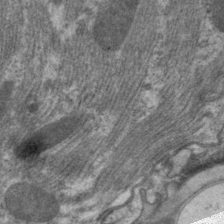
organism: C. elegans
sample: Pharynx